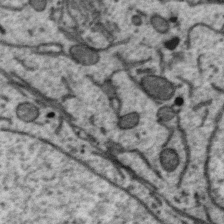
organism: Zebra finch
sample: Brain